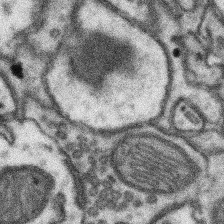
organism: Mouse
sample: Somatosensory cortex neuropil